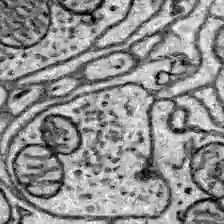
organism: Zebrafish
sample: Brain